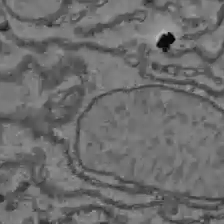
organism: C57BL Mouse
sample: Liver